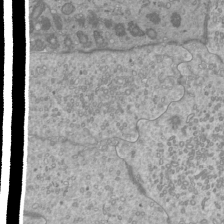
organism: Mouse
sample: Cilia; mouse epididymis